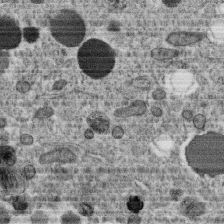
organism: C. elegans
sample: C. elegans oocyte; sperm cells